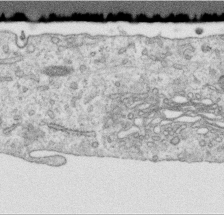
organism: Human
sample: Centriole in RPE cells